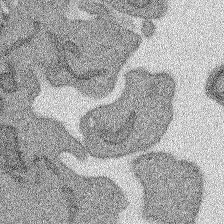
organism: Human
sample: HeLa cells